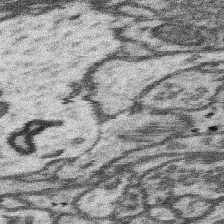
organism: Mouse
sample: Somatosensory cortex neuropil